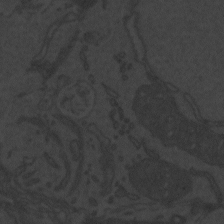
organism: Zebrafish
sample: Macrophage infected with Toxoplasma gondii